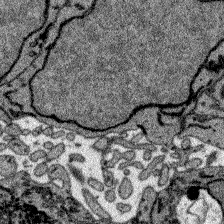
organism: Zebrafish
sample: Larval olfactory bulb